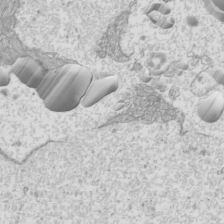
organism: Mouse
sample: Cilia; mouse epididymis